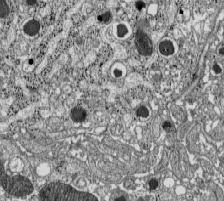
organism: C57BL Mouse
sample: Pancreatic islet